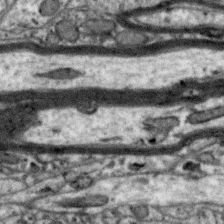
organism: Zebra finch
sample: Brain